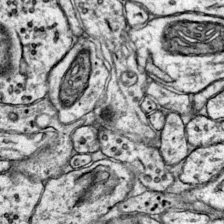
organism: Mouse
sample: Primary visual cortex